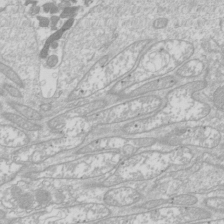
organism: Drosophila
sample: Cell division; meiosis; drosophila spermatocytes